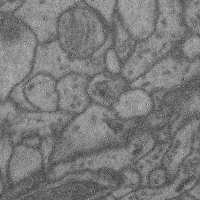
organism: Mouse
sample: Cerebral cortex